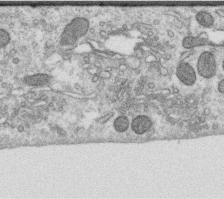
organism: Human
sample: Centriole in RPE cells